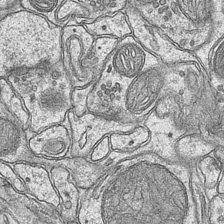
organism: Mouse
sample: CA1 Hippocampus